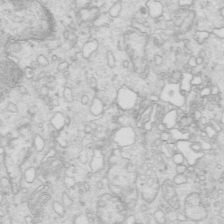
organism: Mouse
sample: Multiciliated cells